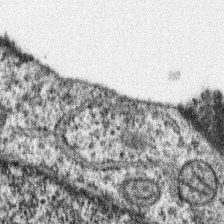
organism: Human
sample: HeLa cells